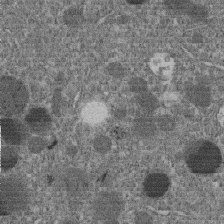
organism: C. elegans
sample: C. elegans embryo early stage